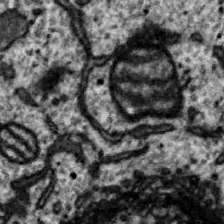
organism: Human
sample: HeLa cells